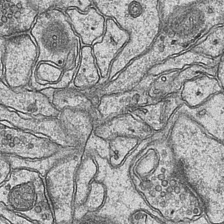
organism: Mouse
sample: CA1 Hippocampus